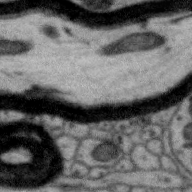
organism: Zebra finch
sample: Brain